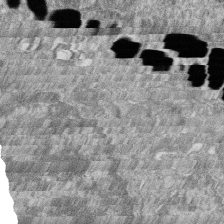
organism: Zebrafish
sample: Cilia; retinal pigment epithelium